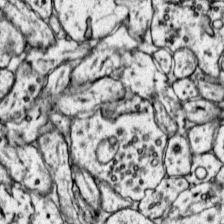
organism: Mouse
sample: Primary visual cortex